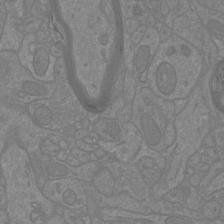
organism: Mouse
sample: Cortical neurons